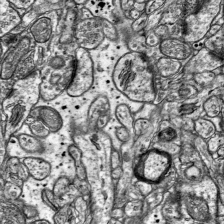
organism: Mouse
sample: Visual Cortex